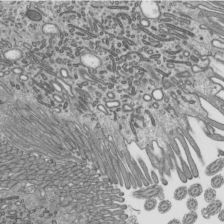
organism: Mouse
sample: Mouse epididymis efferent ductule cilia